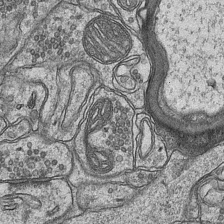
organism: Mouse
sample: CA1 Hippocampus